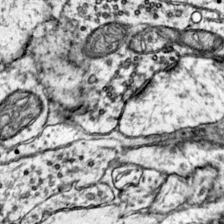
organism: Mouse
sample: Primary visual cortex